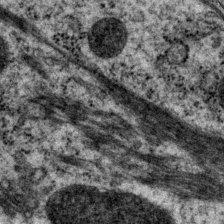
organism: P. pacificus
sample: Pharynx